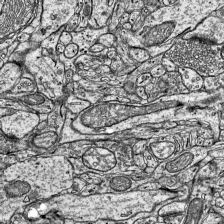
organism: Mouse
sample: Visual Cortex